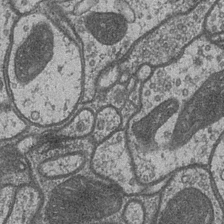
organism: Drosophila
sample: Optic medulla